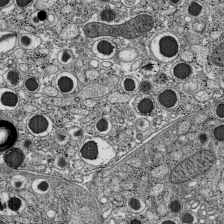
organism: C57BL Mouse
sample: Pancreatic islet